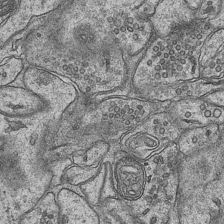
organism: Mouse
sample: CA1 Hippocampus